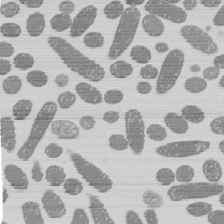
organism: E. coli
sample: Bacterial nucleoid